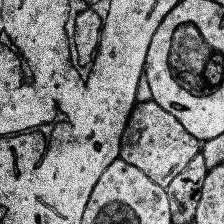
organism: Human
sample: Temporal Lobe